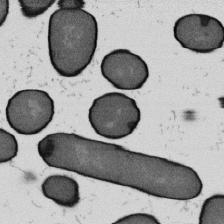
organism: B. subtilis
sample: Bacterial spore